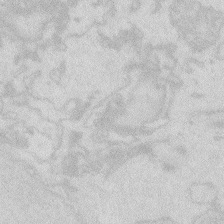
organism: Zebrafish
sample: Macrophage